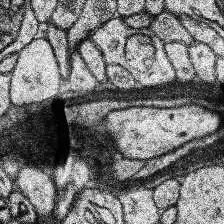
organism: Human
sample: Temporal Lobe